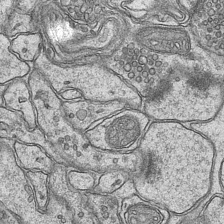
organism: Mouse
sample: CA1 Hippocampus